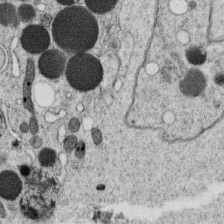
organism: C. elegans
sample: C. elegans oocyte; sperm cells